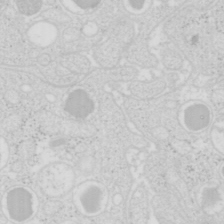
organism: Mouse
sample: Pancreas